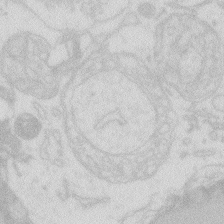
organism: Zebrafish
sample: Macrophage